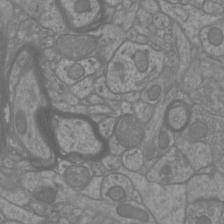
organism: Mouse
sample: Cortical neurons